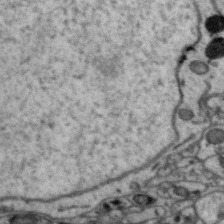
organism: Zebra finch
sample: Brain